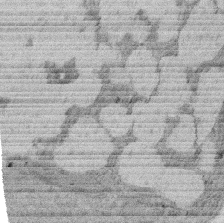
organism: Rat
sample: Salivary granule